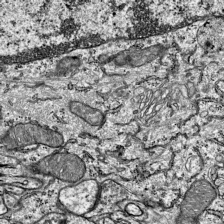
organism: Mouse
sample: Visual Cortex